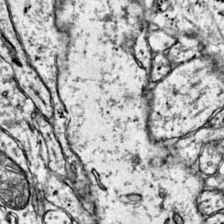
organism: Mouse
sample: Primary visual cortex